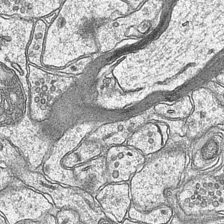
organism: Mouse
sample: CA1 Hippocampus